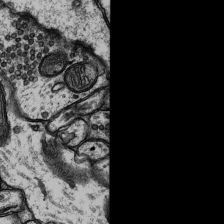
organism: Rat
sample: Hippocampus